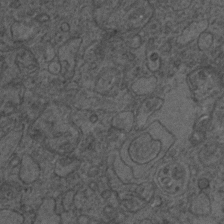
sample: Trachea